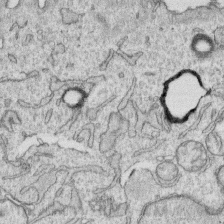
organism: Human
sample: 1205lu cells